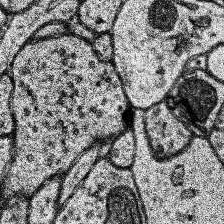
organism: Human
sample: Temporal Lobe